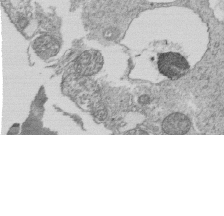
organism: Tetrahymena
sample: Cilia in tetrahymena